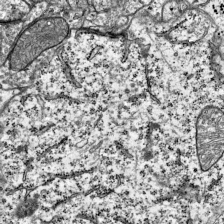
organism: Mouse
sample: Visual Cortex